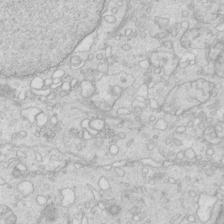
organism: Mouse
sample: Multiciliated cells